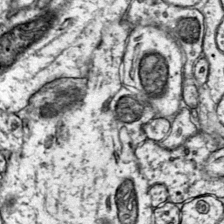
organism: Mouse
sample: Primary visual cortex